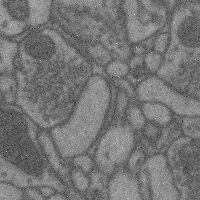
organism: Mouse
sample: Cerebral cortex